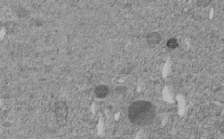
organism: C. elegans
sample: C. elegans embryo early stage